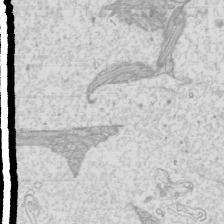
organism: Mouse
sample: Cilia; mouse epididymis